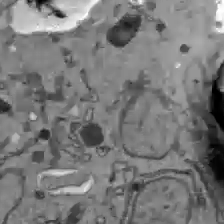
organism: C57BL Mouse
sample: Liver